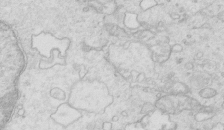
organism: Mouse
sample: Multiciliated cells